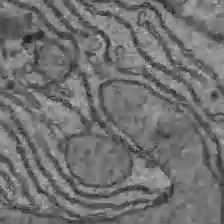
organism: C57BL Mouse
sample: Liver